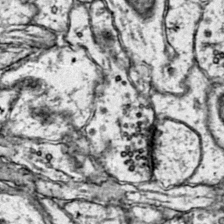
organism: Mouse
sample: Primary visual cortex